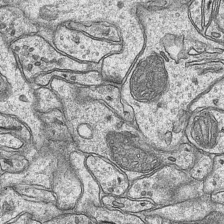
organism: Mouse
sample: CA1 Hippocampus